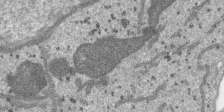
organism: Human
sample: Lung epithelial cells infected with SARS-CoV-2